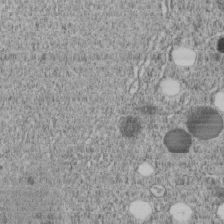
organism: C. elegans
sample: C. elegans embryo early stage